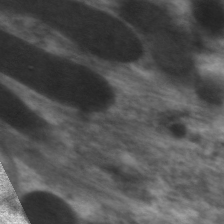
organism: C. elegans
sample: Pharynx